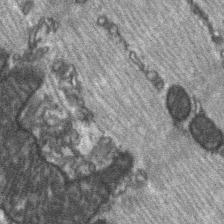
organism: C57BL Mouse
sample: Soleus